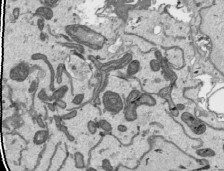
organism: Human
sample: Mitochondria in HCT116 cells